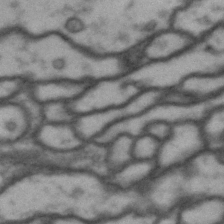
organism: Drosophila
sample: Brain